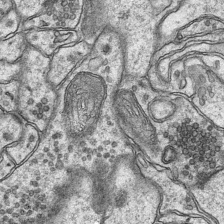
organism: Mouse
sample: CA1 Hippocampus